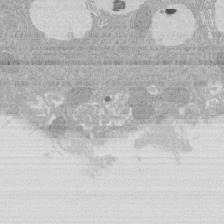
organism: Rat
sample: Salivary granule